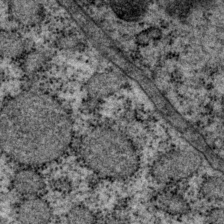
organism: P. pacificus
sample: Pharynx